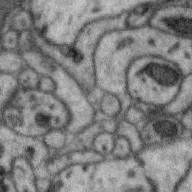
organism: Zebra finch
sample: Brain